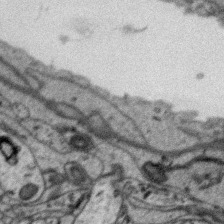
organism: Zebra finch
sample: Brain